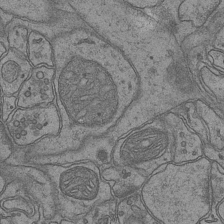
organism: Mouse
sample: CA1 Hippocampus